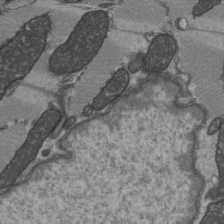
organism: C57BL Mouse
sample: Heart